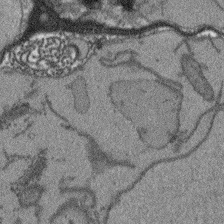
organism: Arabidopsis thaliana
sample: Root tip